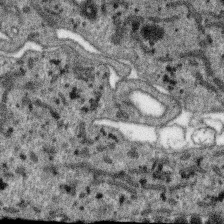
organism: Human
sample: Lung epithelial cells infected with SARS-CoV-2